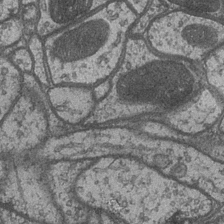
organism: Drosophila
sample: Optic medulla